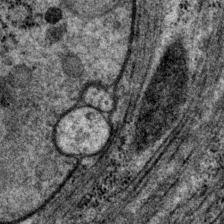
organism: P. pacificus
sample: Pharynx